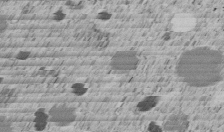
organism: C. elegans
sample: C. elegans embryo early stage